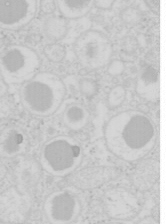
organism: Mouse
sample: Pancreas